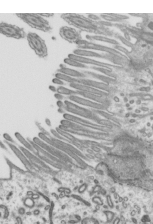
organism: Mouse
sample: Mouse epididymis efferent ductule cilia